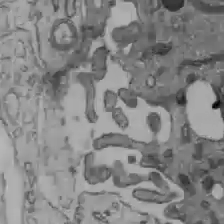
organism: C57BL Mouse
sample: Liver